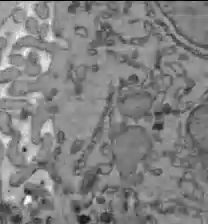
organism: C57BL Mouse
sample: Liver